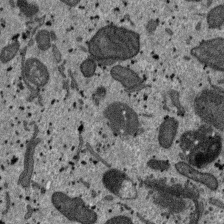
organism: Human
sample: Lung epithelial cells, uninfected (mock) control